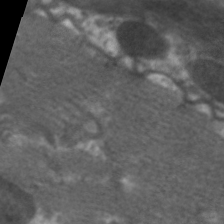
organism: C. elegans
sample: Pharynx